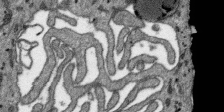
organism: Human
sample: Lung epithelial cells, uninfected (mock) control